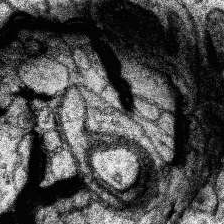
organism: Human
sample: Temporal Lobe